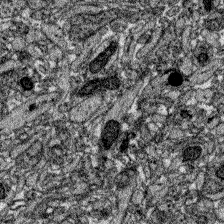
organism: Zebrafish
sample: Larval olfactory bulb